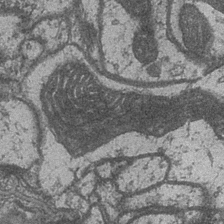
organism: Drosophila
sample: Optic medulla